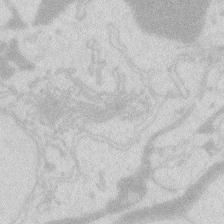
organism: Zebrafish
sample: Macrophage